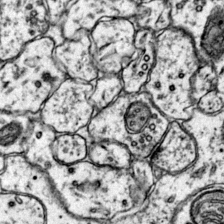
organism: Mouse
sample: Primary visual cortex